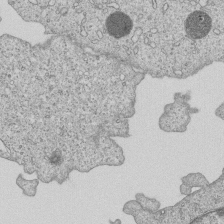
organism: Human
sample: MDA-MB-231 cells